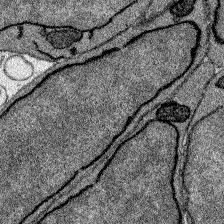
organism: Zebrafish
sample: Larval olfactory bulb